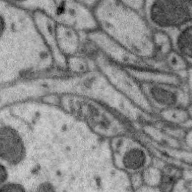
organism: Zebra finch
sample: Brain